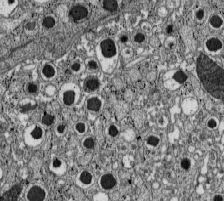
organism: C57BL Mouse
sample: Pancreatic islet